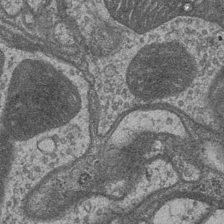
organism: Drosophila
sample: Optic medulla